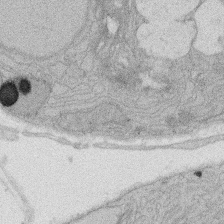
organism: Rat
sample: Salivary granule